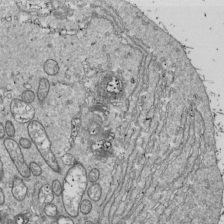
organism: Drosophila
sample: Cell division; meiosis; drosophila spermatocytes